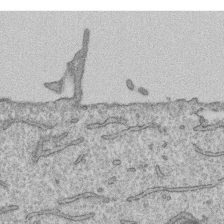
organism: Human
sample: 1205lu cells